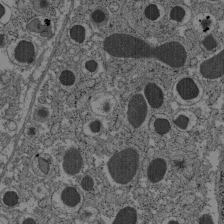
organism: C57BL Mouse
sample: Pancreatic islet